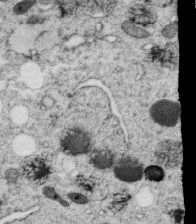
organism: C. elegans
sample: C. elegans oocyte; sperm cells